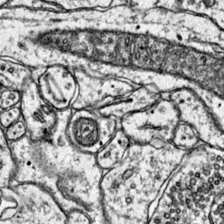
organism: Mouse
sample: Primary visual cortex